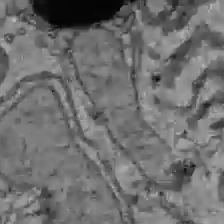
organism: C57BL Mouse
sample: Liver